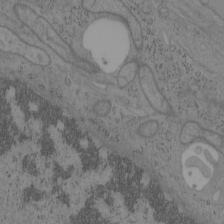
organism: Mouse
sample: OT-I killer T cells with ID8 ovarian cancer cells